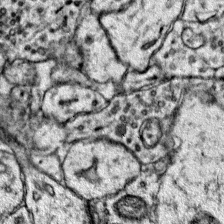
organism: Mouse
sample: Primary visual cortex